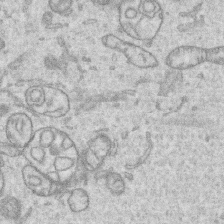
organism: Human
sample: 1205lu cells